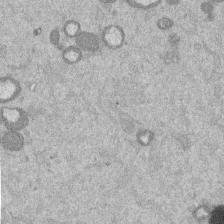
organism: Mouse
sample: Dividing mouse embryo 1 cell stage